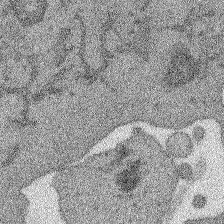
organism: Human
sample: HeLa cells